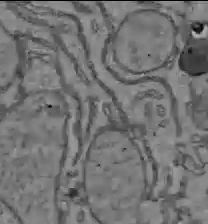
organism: C57BL Mouse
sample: Liver